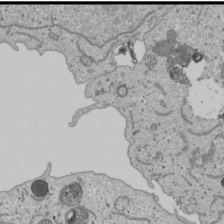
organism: Human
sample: Mitochondria in U2OS cells